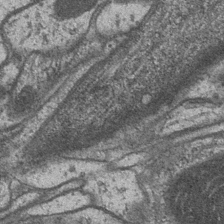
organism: Drosophila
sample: Optic medulla